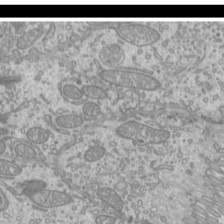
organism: Mouse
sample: Cilia; mouse epididymis